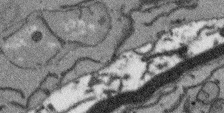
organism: Arabidopsis thaliana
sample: Root tip